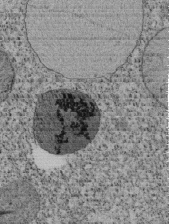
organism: Tetrahymena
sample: Cilia in tetrahymena